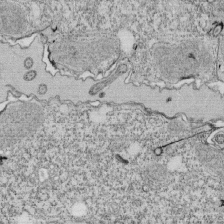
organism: Tetrahymena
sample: Cilia in tetrahymena